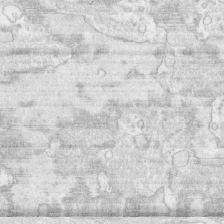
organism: Human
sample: CRL-1474